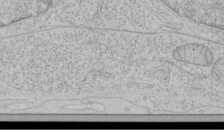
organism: Human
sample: Mitochondria in HCT116 cells